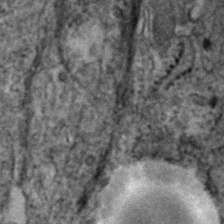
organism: Human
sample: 1205lu cells